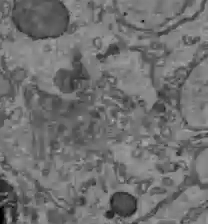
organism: C57BL Mouse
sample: Liver